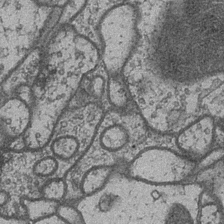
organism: Drosophila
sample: Optic medulla